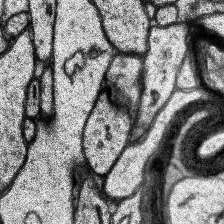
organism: Human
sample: Temporal Lobe